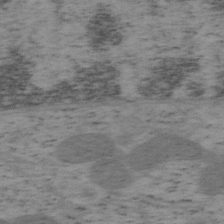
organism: Mouse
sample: OT-I killer T cells with ID8 ovarian cancer cells